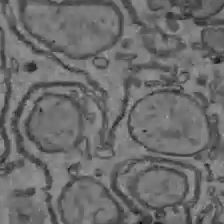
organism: C57BL Mouse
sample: Liver